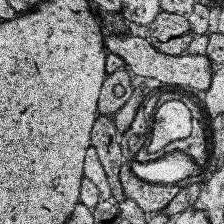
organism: Human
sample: Temporal Lobe